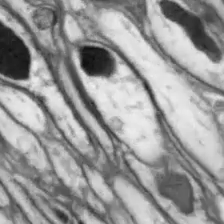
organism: Drosophila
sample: Optic lobe